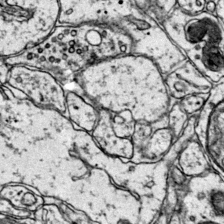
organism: Mouse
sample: Primary visual cortex